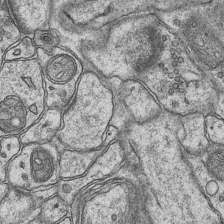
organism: Mouse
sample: CA1 Hippocampus